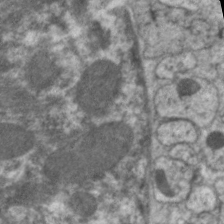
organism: C. elegans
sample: Pharynx